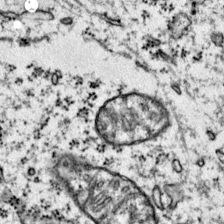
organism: Mouse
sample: Primary visual cortex